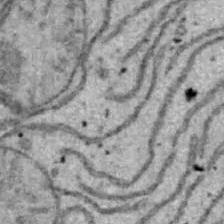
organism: Mouse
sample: Liver from an obese (ob/ob) mouse